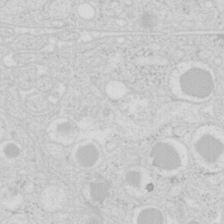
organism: Mouse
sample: Pancreas